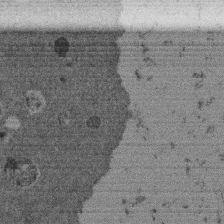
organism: Mouse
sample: Dividing mouse embryo 1 cell stage